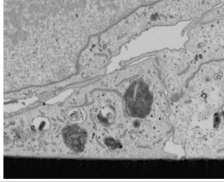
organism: Human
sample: Mitochondria in U2OS cells